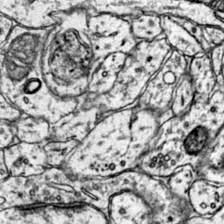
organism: Mouse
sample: Primary visual cortex